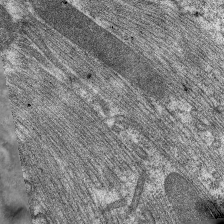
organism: C. elegans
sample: Pharynx